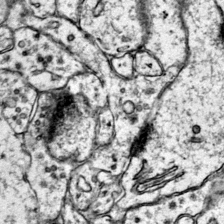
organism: Mouse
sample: Primary visual cortex